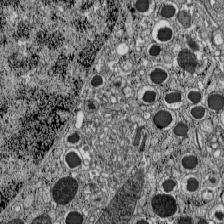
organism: C57BL Mouse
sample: Pancreatic islet